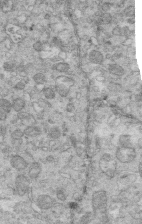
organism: Mouse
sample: Multiciliated cells